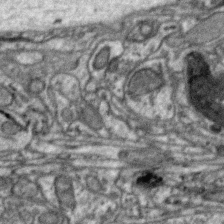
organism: Zebra finch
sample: Brain